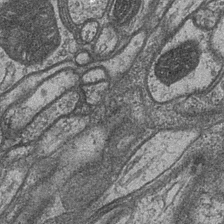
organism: Drosophila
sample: Optic medulla